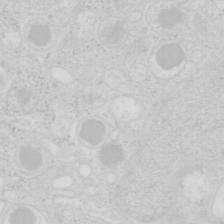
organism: Mouse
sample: Pancreas